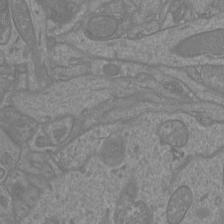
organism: Mouse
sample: Cortical neurons